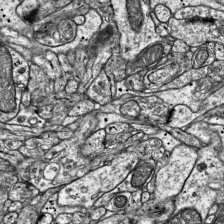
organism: Mouse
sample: Visual Cortex